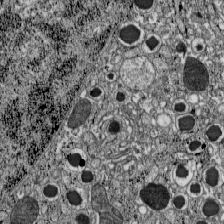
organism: C57BL Mouse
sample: Pancreatic islet